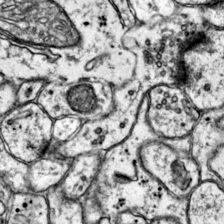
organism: Mouse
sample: Primary visual cortex